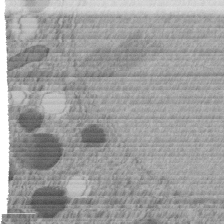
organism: C. elegans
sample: C. elegans embryo early stage